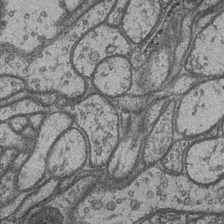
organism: Drosophila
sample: Optic medulla